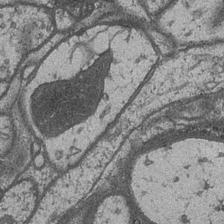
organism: Drosophila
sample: Optic medulla